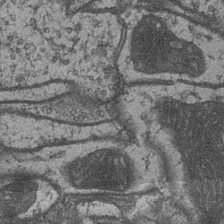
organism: Drosophila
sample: Optic medulla